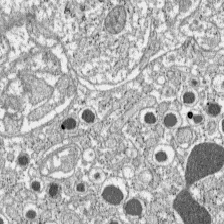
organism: C57BL Mouse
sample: Pancreatic islet